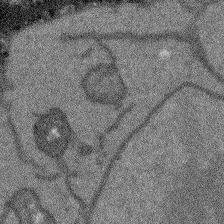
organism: Arabidopsis thaliana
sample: Root tip